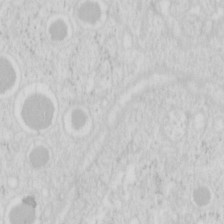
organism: Mouse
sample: Pancreas